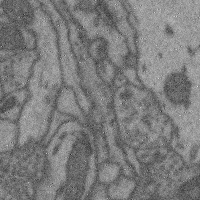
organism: Mouse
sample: Cerebral cortex